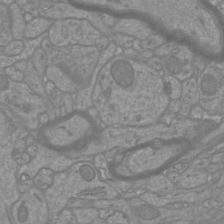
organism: Mouse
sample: Cortical neurons